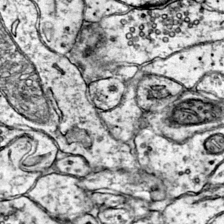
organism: Mouse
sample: Primary visual cortex